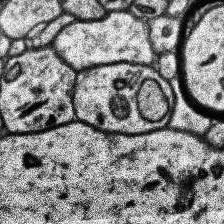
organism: Human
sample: Temporal Lobe